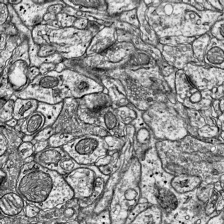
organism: Mouse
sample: Visual Cortex